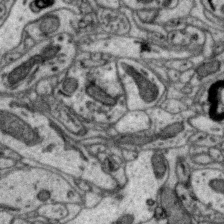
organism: Zebra finch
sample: Brain